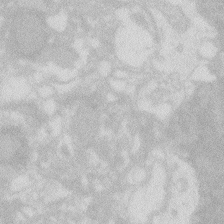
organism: Zebrafish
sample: Macrophage